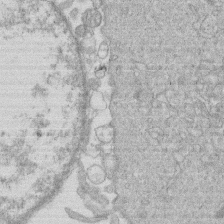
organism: Human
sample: Macrophage cells